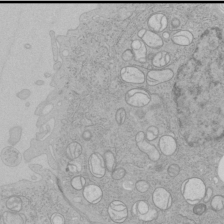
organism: Human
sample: Mitochondria in HCT116 cells